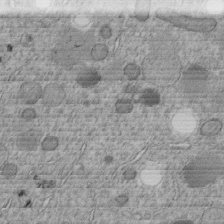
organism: C. elegans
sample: C. elegans embryo early stage